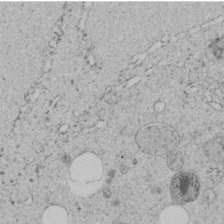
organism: C. elegans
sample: C. elegans embryo early stage